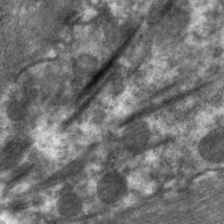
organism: C. elegans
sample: Pharynx